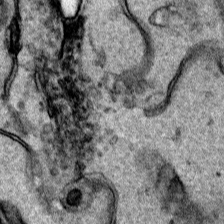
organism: Human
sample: Mitochondria in HCT116 cells